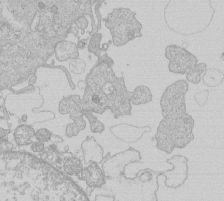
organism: Human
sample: Macrophage cells